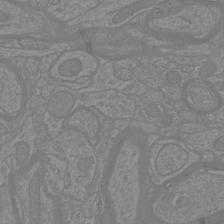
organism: Mouse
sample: Cortical neurons